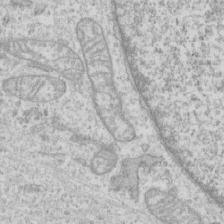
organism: Human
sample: CRL-1474